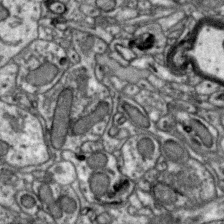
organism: Zebra finch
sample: Brain